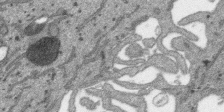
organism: Human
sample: Lung epithelial cells infected with SARS-CoV-2